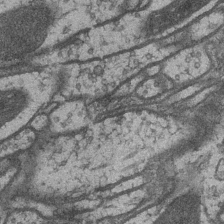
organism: Drosophila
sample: Optic medulla